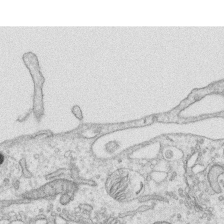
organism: Human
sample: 1205lu cells